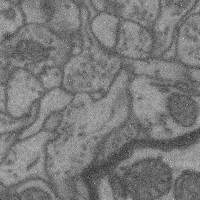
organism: Mouse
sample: Cerebral cortex